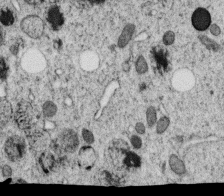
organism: C. elegans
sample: C. elegans oocyte; sperm cells